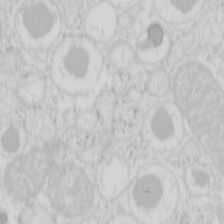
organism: Mouse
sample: Pancreas